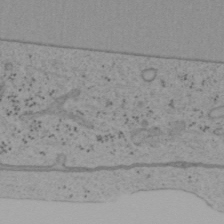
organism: Human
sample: HeLa cells